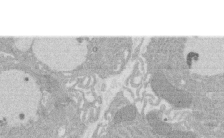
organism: Rat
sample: Salivary granule